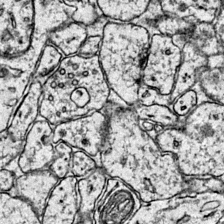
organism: Mouse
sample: Primary visual cortex